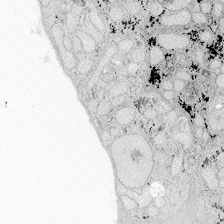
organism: Zebrafish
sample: Whole-Brain